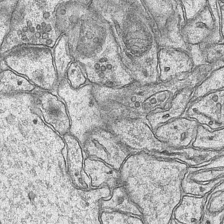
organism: Mouse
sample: CA1 Hippocampus